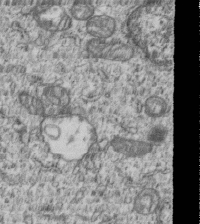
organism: Human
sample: MDA-MB-231 cells